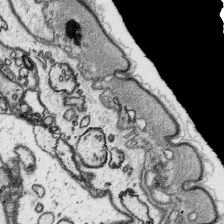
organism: Platynereis dumerilii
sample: Parapodia